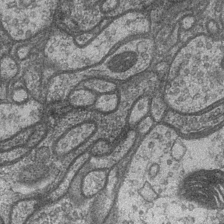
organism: Drosophila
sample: Optic medulla